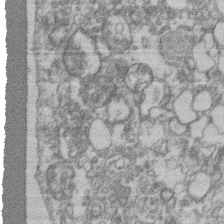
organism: Mouse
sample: T cell stromal cell synapse